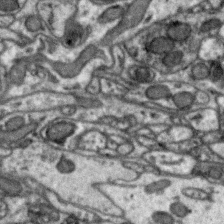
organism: Zebra finch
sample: Brain